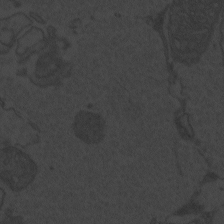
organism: Zebrafish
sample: Macrophage infected with Toxoplasma gondii